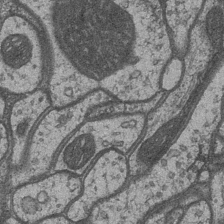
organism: Drosophila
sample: Optic medulla